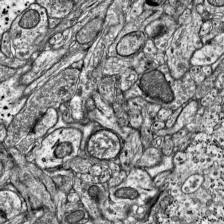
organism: Mouse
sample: Visual Cortex